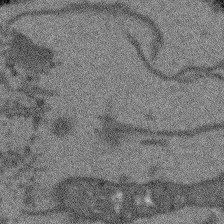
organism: Arabidopsis thaliana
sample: Root tip